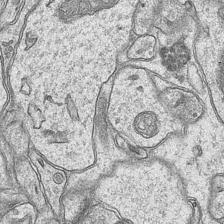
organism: Mouse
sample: CA1 Hippocampus